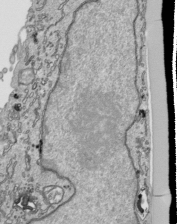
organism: Human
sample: Mitochondria in HCT116 cells